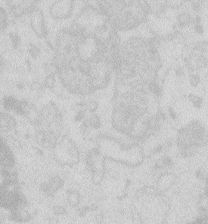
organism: Zebrafish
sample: Macrophage